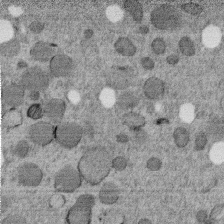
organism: C. elegans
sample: C. elegans embryo early stage